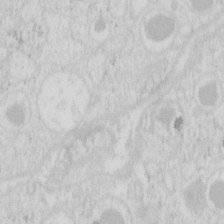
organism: Mouse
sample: Pancreas